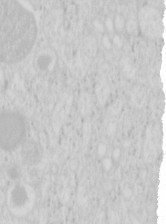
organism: Mouse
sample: Pancreas